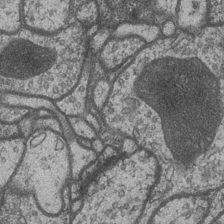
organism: Drosophila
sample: Optic medulla